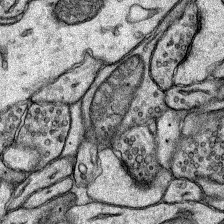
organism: Rat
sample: Hippocampus